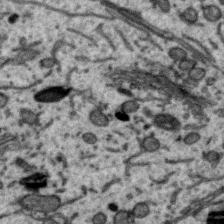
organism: Zebra finch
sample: Brain